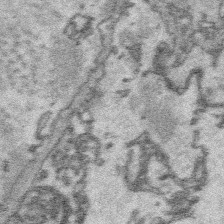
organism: Platynereis dumerilii